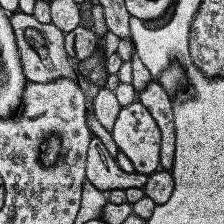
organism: Human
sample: Temporal Lobe